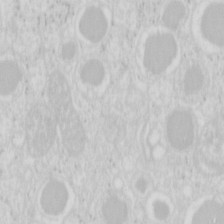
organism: Mouse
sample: Pancreas